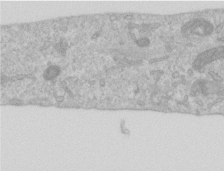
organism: Human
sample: Centriole in RPE cells